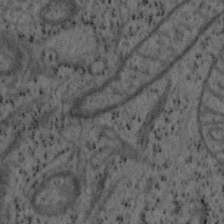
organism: Human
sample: HeLa cells